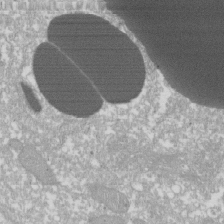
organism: Xenopus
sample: Cilia; centrioles in frog embryo cells